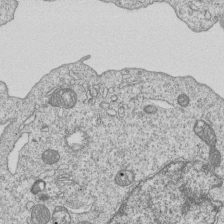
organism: Human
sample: MDA-MB-231 cells